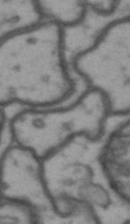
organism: Drosophila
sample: Brain